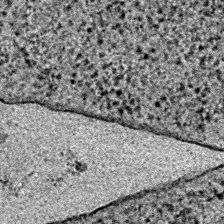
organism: E. coli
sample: E. Coli Bacteria